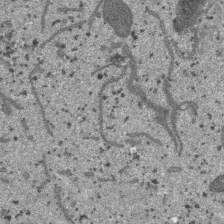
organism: Human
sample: Lung epithelial cells infected with SARS-CoV-2